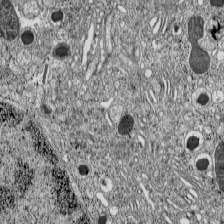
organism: C57BL Mouse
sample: Pancreatic islet